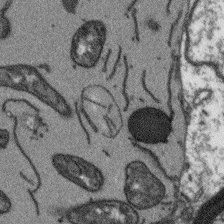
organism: Arabidopsis thaliana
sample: Root tip